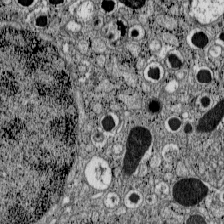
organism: C57BL Mouse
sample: Pancreatic islet